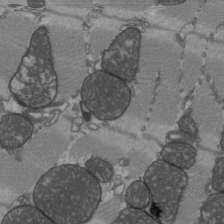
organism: C57BL Mouse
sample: Heart